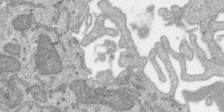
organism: Human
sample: Lung epithelial cells infected with SARS-CoV-2